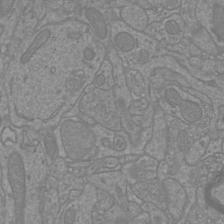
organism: Mouse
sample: Cortical neurons